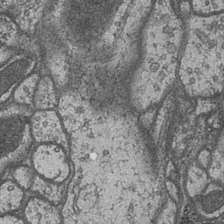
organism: Drosophila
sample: Optic medulla